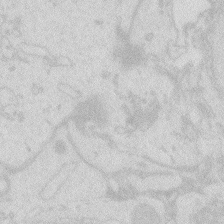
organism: Zebrafish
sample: Macrophage